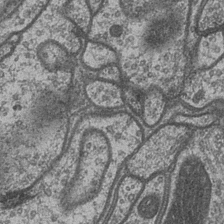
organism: Drosophila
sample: Optic medulla